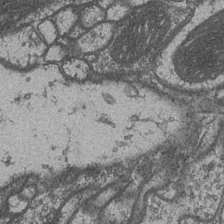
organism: Drosophila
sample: Optic medulla